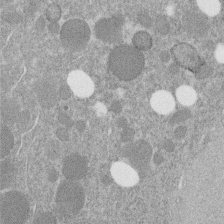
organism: C. elegans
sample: C. elegans embryo early stage